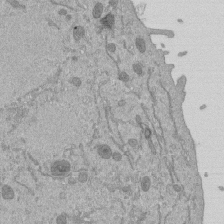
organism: Mouse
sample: ED-1 cell nuclei; centrioles